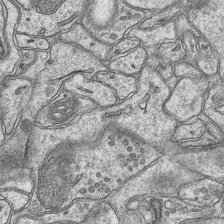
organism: Mouse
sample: CA1 Hippocampus